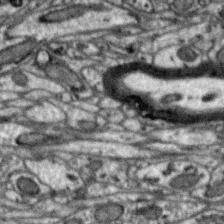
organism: Zebra finch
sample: Brain